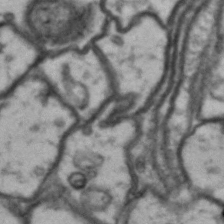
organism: Drosophila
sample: Brain